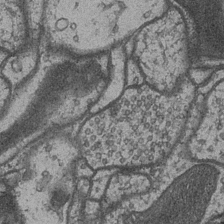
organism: Drosophila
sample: Optic medulla